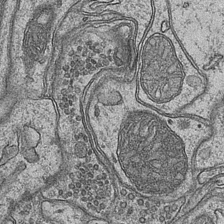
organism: Mouse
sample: CA1 Hippocampus